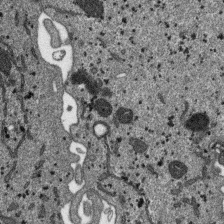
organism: Human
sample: Lung epithelial cells infected with SARS-CoV-2